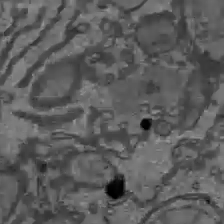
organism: C57BL Mouse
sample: Liver